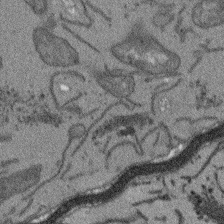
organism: Arabidopsis thaliana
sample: Root tip